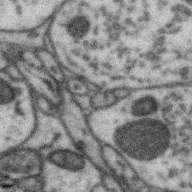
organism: Zebra finch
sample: Brain